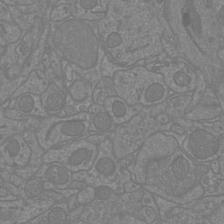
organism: Mouse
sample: Cortical neurons